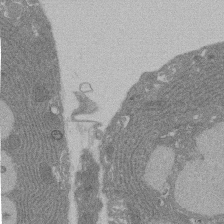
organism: Rat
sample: Salivary granule